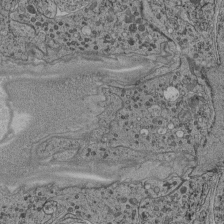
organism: C. elegans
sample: C. elegans pharynx